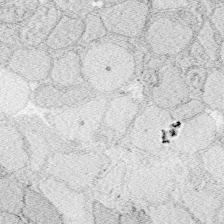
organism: Zebrafish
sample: Whole-Brain